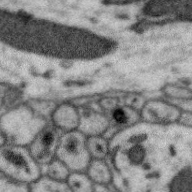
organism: Zebra finch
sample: Brain